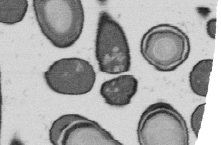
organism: B. subtilis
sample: Bacterial spore